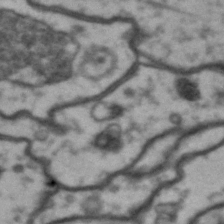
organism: Drosophila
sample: Brain